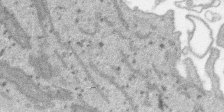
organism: Human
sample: Lung epithelial cells infected with SARS-CoV-2